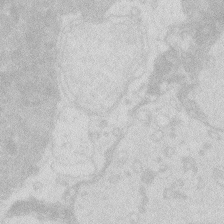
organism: Zebrafish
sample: Macrophage